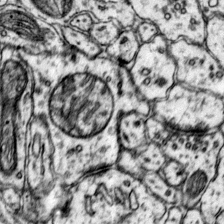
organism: Mouse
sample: Primary visual cortex